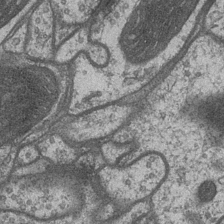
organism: Drosophila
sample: Optic medulla